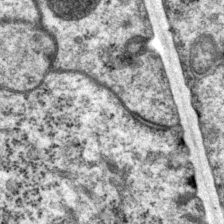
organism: P. pacificus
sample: Pharynx